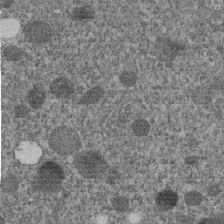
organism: C. elegans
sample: C. elegans embryo early stage